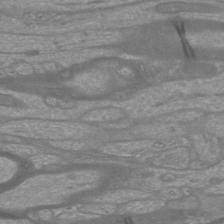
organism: Mouse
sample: Cortical neurons